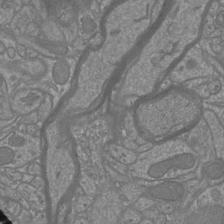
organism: Mouse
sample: Cortical neurons